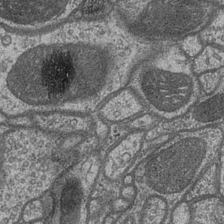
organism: Drosophila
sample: Optic medulla